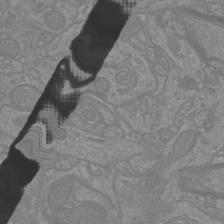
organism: Mouse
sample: Cortical neurons